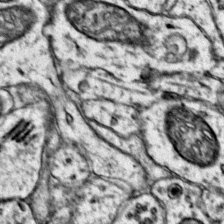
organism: Mouse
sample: Primary visual cortex